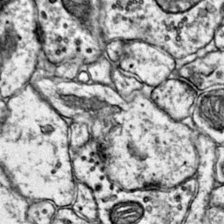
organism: Mouse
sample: Primary visual cortex